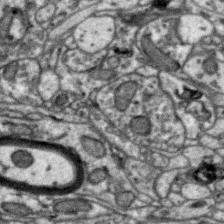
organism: Zebra finch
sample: Brain